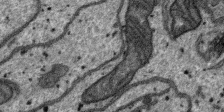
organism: Human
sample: Lung epithelial cells, uninfected (mock) control